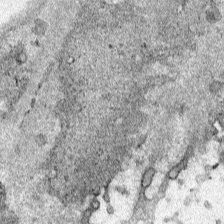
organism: Human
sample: Mitochondria in HCT116 cells